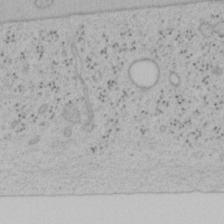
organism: Human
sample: HeLa cells